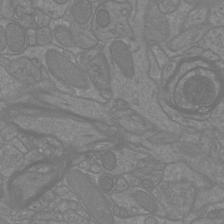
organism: Mouse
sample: Cortical neurons